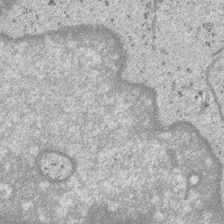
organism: Human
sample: Lung epithelial cells infected with SARS-CoV-2